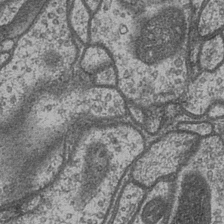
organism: Drosophila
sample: Optic medulla